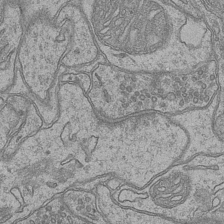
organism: Mouse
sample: CA1 Hippocampus